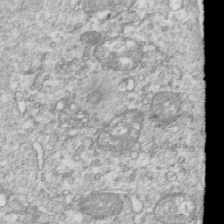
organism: Mouse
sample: Activated OT-1 CD8+ T cells